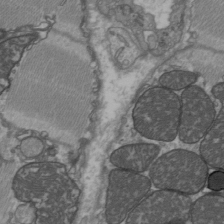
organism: C57BL Mouse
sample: Heart